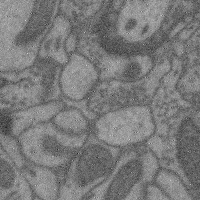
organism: Mouse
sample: Cerebral cortex